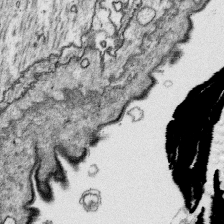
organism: Platynereis dumerilii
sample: Parapodia